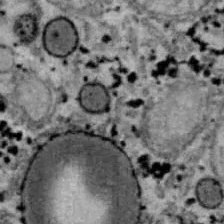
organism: Mouse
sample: Liver from an obese (ob/ob) mouse